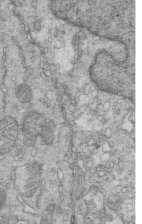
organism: Mouse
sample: Multiciliated cells